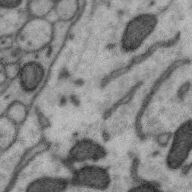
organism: Zebra finch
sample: Brain